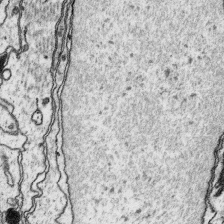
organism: Platynereis dumerilii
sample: Parapodia